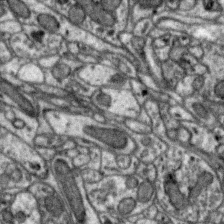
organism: Zebra finch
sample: Brain